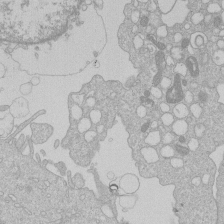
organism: Human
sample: Macrophage cells